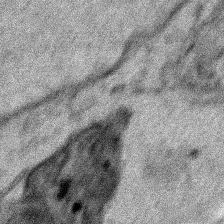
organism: Human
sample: Mitochondria in HCT116 cells